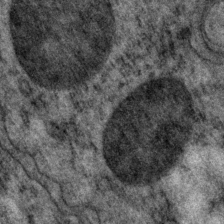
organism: P. pacificus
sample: Pharynx